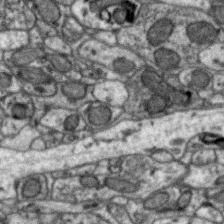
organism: Zebra finch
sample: Brain